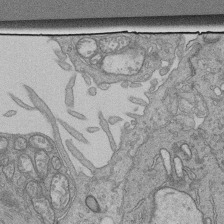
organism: Human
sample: Retinal organoid Rod and Cone cells